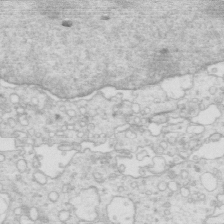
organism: Mouse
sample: Multiciliated cells